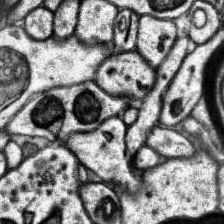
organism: Human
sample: Temporal Lobe